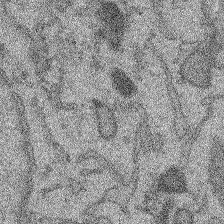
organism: Human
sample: HeLa cells